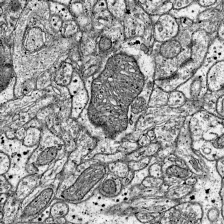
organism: Mouse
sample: Visual Cortex